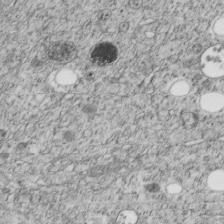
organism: C. elegans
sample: C. elegans embryo early stage